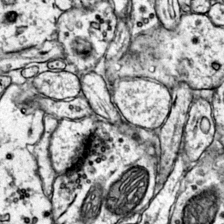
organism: Mouse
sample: Primary visual cortex